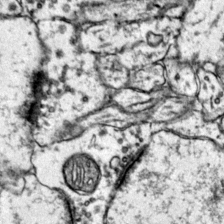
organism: Mouse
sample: Primary visual cortex